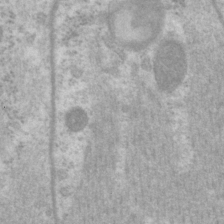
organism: P. pacificus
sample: Pharynx